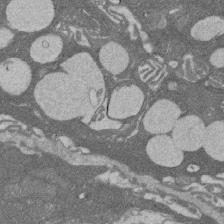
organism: Rat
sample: Salivary granule